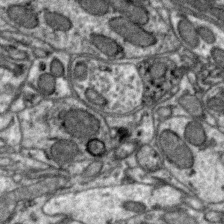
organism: Zebra finch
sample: Brain